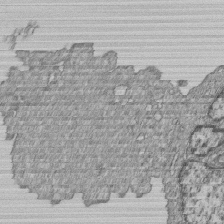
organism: Human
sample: MDA-MB-231 cells